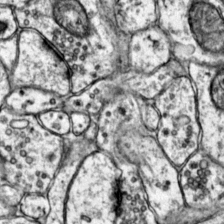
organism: Mouse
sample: Primary visual cortex